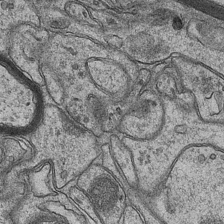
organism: Mouse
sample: CA1 Hippocampus